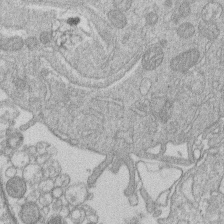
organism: Human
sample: Macrophage cells